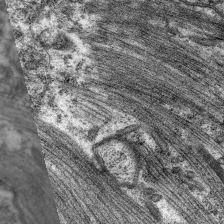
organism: C. elegans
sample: Pharynx